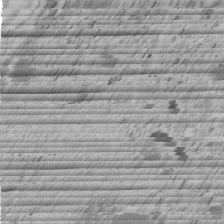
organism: C. elegans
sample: C. elegans embryo early stage